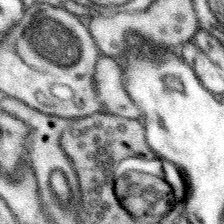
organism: Mouse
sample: Somatosensory cortex neuropil